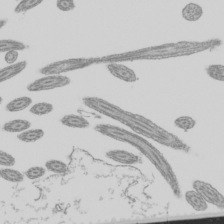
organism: Mouse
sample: Cilia; mouse epididymis